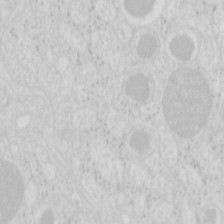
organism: Mouse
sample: Pancreas